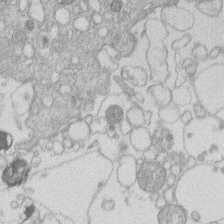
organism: Human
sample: Macrophage cells